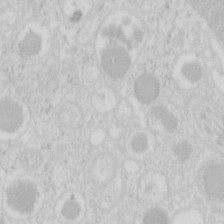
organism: Mouse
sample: Pancreas